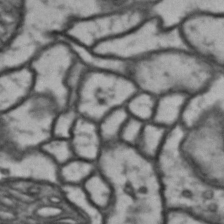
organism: Drosophila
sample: Brain